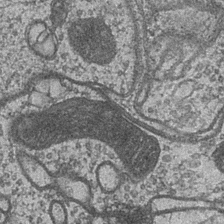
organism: Drosophila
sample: Optic medulla